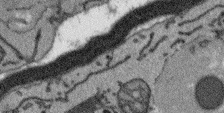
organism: Arabidopsis thaliana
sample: Root tip